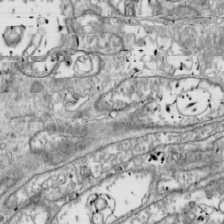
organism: Drosophila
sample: Cell division; meiosis; drosophila spermatocytes